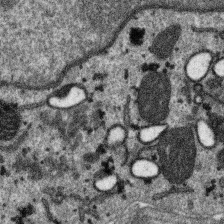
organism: Human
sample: Lung epithelial cells infected with SARS-CoV-2